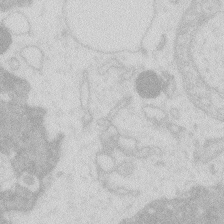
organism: Zebrafish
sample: Macrophage